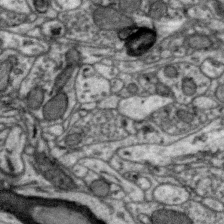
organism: Zebra finch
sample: Brain